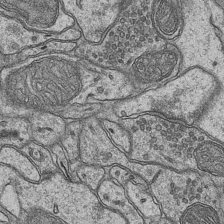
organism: Mouse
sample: CA1 Hippocampus